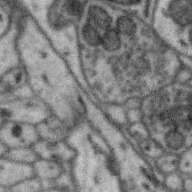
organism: Zebra finch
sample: Brain